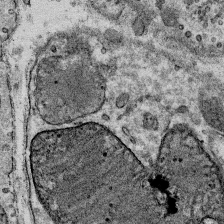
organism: Mouse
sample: Mouse Salivary gland